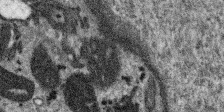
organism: Human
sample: Lung epithelial cells infected with SARS-CoV-2